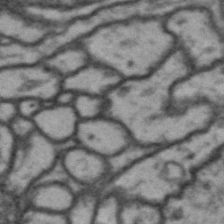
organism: Drosophila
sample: Brain